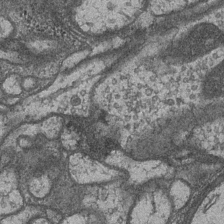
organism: Drosophila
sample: Optic medulla